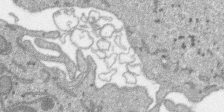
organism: Human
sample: Lung epithelial cells infected with SARS-CoV-2